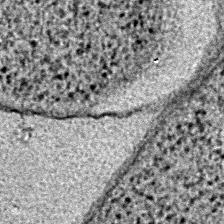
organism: E. coli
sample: E. Coli Bacteria